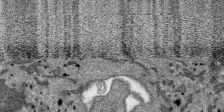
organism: Human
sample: Lung epithelial cells, uninfected (mock) control